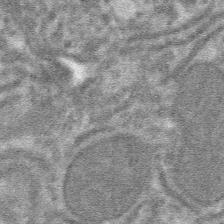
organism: Mouse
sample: Mouse hepatocytes